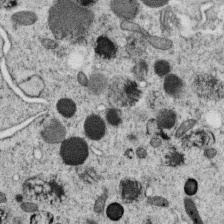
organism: C. elegans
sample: C. elegans oocyte; sperm cells